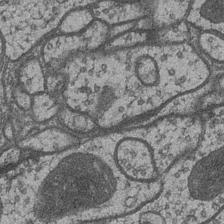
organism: Drosophila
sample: Optic medulla